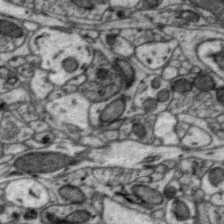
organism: Zebra finch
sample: Brain